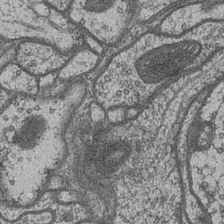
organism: Drosophila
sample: Optic medulla